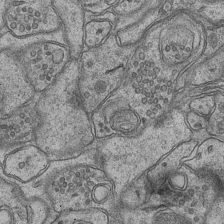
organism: Mouse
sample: CA1 Hippocampus